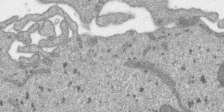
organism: Human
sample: Lung epithelial cells infected with SARS-CoV-2